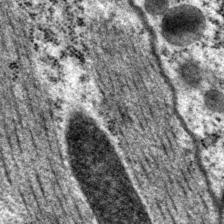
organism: P. pacificus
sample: Pharynx